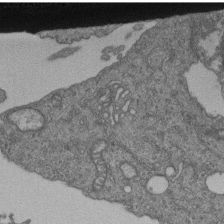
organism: Human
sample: Retinal organoid Rod and Cone cells